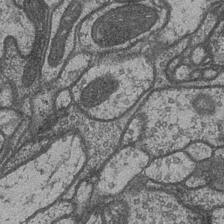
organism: Drosophila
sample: Optic medulla